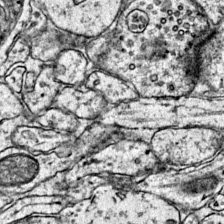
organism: Mouse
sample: Primary visual cortex